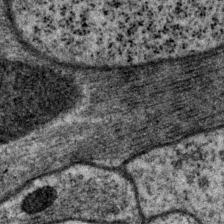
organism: P. pacificus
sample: Pharynx